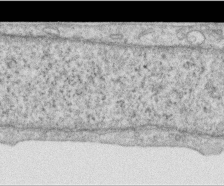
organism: Human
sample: Centriole in RPE cells